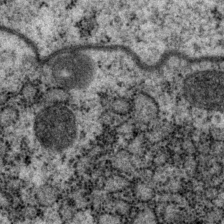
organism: P. pacificus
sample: Pharynx